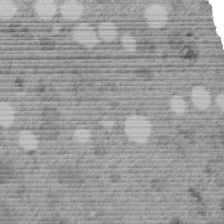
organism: C. elegans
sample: C. elegans embryo early stage